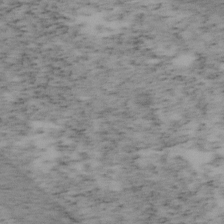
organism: Mouse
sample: OT-I killer T cells with ID8 ovarian cancer cells